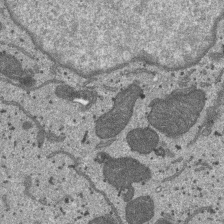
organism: Human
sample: Lung epithelial cells infected with SARS-CoV-2